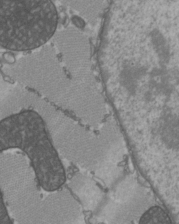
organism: C57BL Mouse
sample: Heart